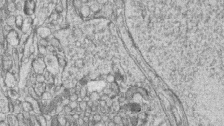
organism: Zebrafish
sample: synaptic ribbons in rod cells and cone cells